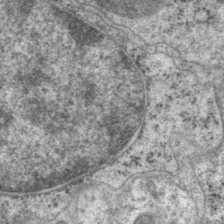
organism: P. pacificus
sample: Pharynx